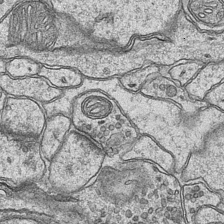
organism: Mouse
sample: CA1 Hippocampus